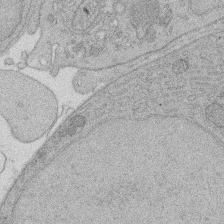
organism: Rat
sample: Salivary granule